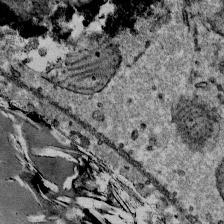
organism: Mouse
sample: Mouse Salivary gland